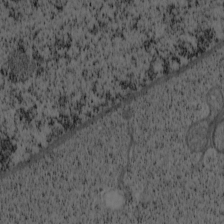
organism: African green monkey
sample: COS-7 cells